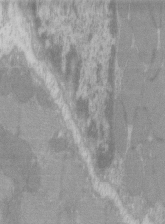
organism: C57BL Mouse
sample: Tibialis anterior muscle cell